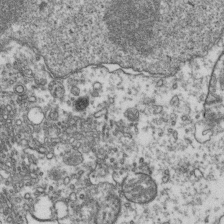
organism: Human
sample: Activated Jurkat CD4+ T cells